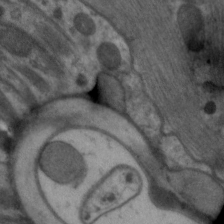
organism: C. elegans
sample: Pharynx